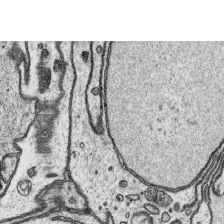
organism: Platynereis dumerilii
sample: Parapodia